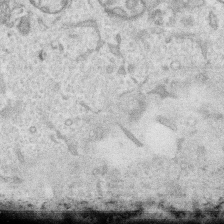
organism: Human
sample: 1205lu cells